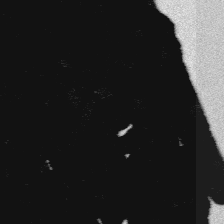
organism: Platynereis dumerilii